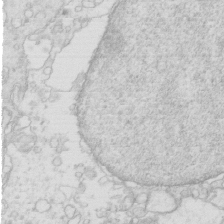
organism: Mouse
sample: Multiciliated cells